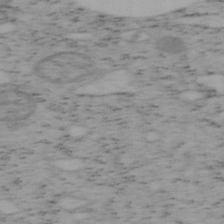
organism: Mouse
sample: OT-I killer T cells with ID8 ovarian cancer cells